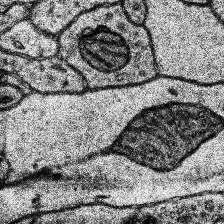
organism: Human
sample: Temporal Lobe